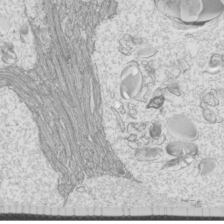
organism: Mouse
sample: Cilia; mouse epididymis